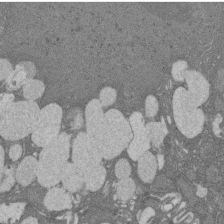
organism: Rat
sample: Salivary granule